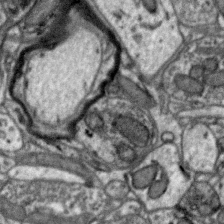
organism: Zebra finch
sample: Brain